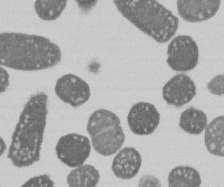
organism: E. coli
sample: Bacterial nucleoid